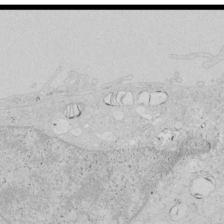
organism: Human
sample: Mitochondria in HCT116 cells